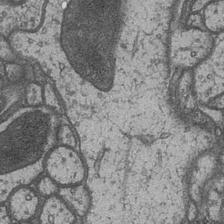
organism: Drosophila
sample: Optic medulla